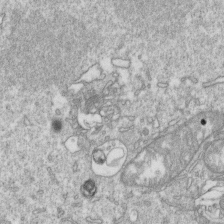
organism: Mouse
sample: Activated OT-1 CD8+ T cells